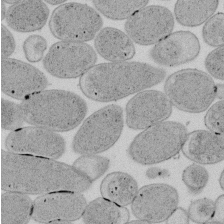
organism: E. coli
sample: Bacterial nucleoid